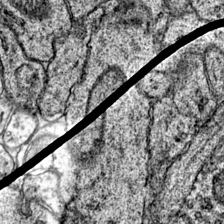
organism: Mouse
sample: Primary visual cortex